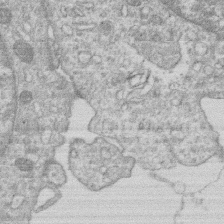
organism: Human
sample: Macrophage cells